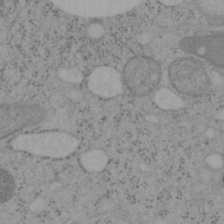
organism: Mouse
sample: OT-I killer T cells with ID8 ovarian cancer cells